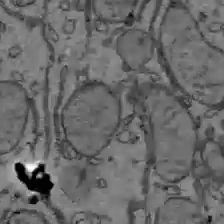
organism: C57BL Mouse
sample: Liver